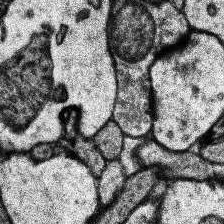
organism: Human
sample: Temporal Lobe